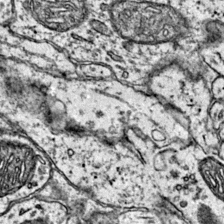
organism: Mouse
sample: Primary visual cortex